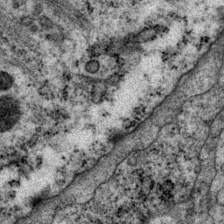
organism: P. pacificus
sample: Pharynx